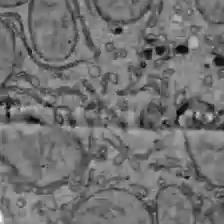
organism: C57BL Mouse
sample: Liver